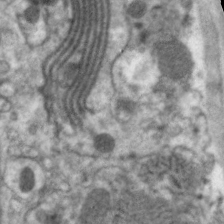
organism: C. elegans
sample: Pharynx